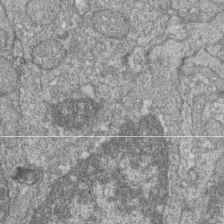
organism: Zebrafish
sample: Cilia; retinal pigment epithelium